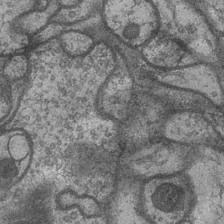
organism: Drosophila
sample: Optic medulla